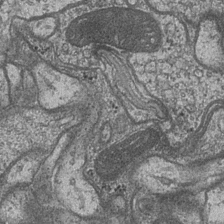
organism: Drosophila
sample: Optic medulla